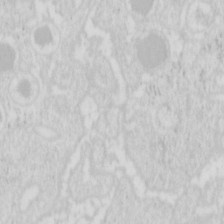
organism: Mouse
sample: Pancreas